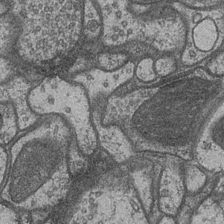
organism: Drosophila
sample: Optic medulla